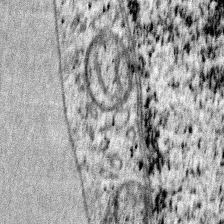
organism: Human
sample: HeLa cells